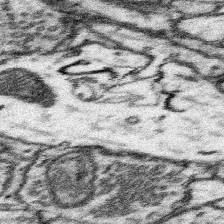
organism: Mouse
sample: Somatosensory cortex neuropil